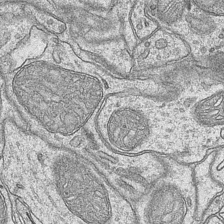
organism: Mouse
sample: CA1 Hippocampus